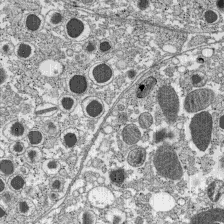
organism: C57BL Mouse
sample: Pancreatic islet